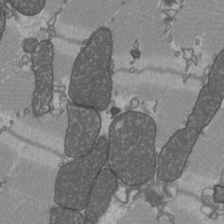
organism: C57BL Mouse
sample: Heart